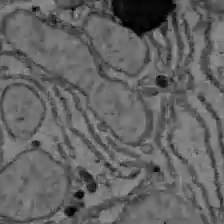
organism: C57BL Mouse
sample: Liver